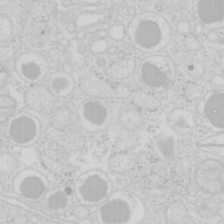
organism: Mouse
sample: Pancreas